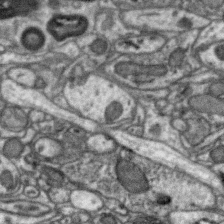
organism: Zebra finch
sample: Brain